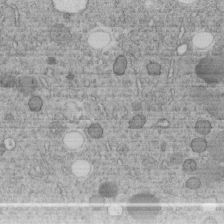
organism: C. elegans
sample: C. elegans embryo early stage